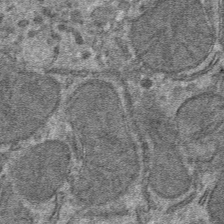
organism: Mouse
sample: Mouse hepatocytes